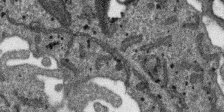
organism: Human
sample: Lung epithelial cells infected with SARS-CoV-2